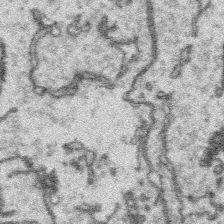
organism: Platynereis dumerilii